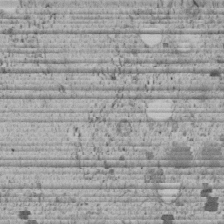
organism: C. elegans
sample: C. elegans embryo early stage